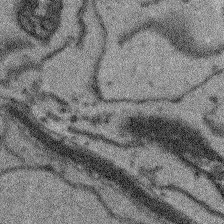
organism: Arabidopsis thaliana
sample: Root tip